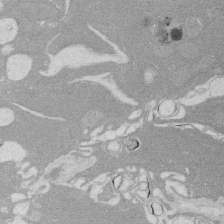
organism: Rat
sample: Salivary granule